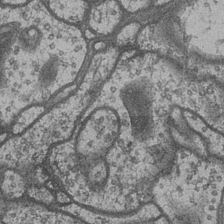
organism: Drosophila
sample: Optic medulla